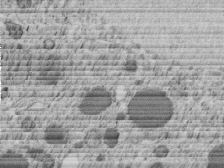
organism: C. elegans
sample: C. elegans embryo early stage